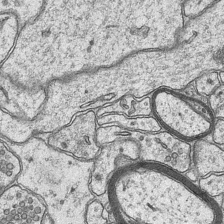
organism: Mouse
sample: CA1 Hippocampus